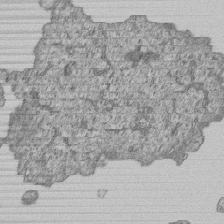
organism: Human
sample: MDA-MB-231 cells